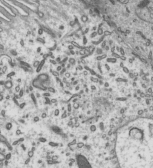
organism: Mouse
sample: Mouse epididymis efferent ductule cilia